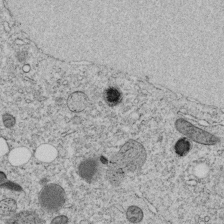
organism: C. elegans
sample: C. elegans embryo early stage